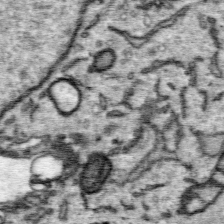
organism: Human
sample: HeLa cells